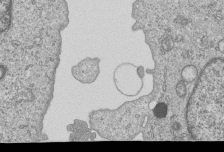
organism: Human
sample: MDA-MB-231 cells